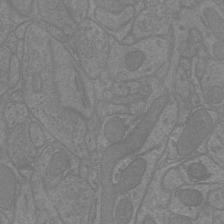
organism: Mouse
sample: Cortical neurons